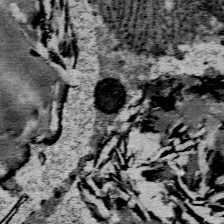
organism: Mouse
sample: Mouse Salivary gland